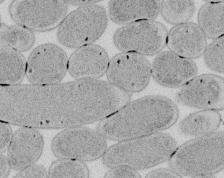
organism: E. coli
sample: Bacterial nucleoid